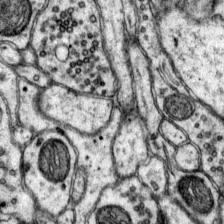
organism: Mouse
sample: Primary visual cortex